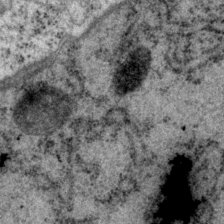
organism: P. pacificus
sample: Pharynx